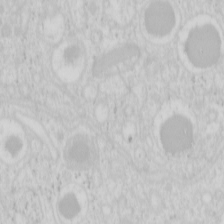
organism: Mouse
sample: Pancreas